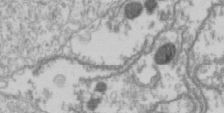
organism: Drosophila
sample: Cell division; meiosis; drosophila spermatocytes